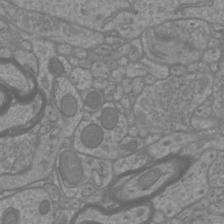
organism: Mouse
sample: Cortical neurons